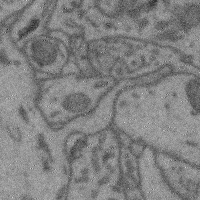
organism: Mouse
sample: Cerebral cortex